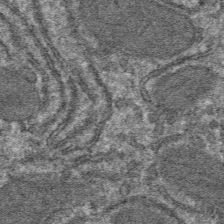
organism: Mouse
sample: Mouse hepatocytes